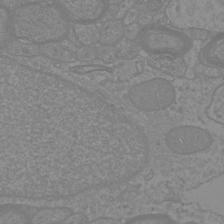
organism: Mouse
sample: Cortical neurons